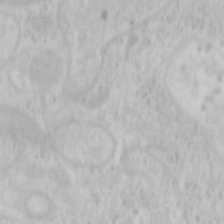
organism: Mouse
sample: OT-I killer T cells with ID8 ovarian cancer cells